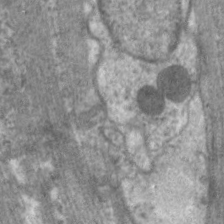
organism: C. elegans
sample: Pharynx